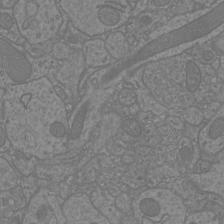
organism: Mouse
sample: Cortical neurons